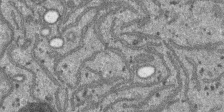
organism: Human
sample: Lung epithelial cells infected with SARS-CoV-2